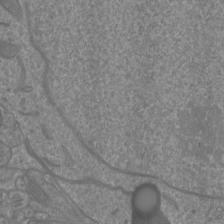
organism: Mouse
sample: Cortical neurons